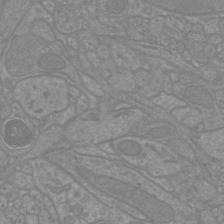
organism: Mouse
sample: Cortical neurons